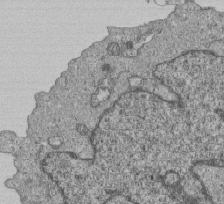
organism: Human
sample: MDA-MB-231 cells